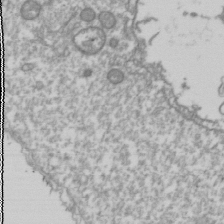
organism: Drosophila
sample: Cell division; meiosis; drosophila spermatocytes